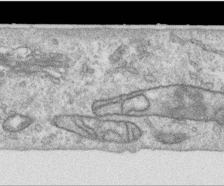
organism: Human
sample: Centriole in RPE cells